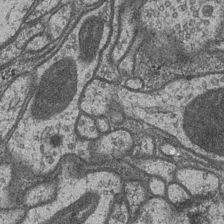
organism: Drosophila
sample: Optic medulla